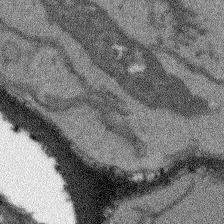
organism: Arabidopsis thaliana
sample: Root tip